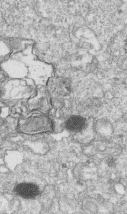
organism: Human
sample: HeLa cell HIV synapse